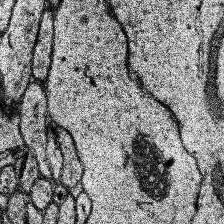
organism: Human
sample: Temporal Lobe